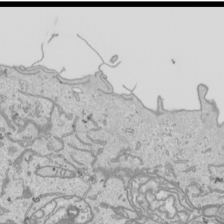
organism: Human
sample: Mitochondria in HCT116 cells